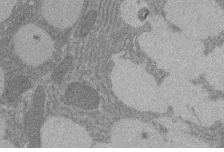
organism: Rat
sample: Salivary granule